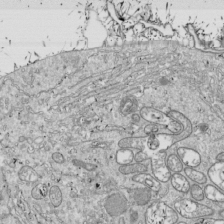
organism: Drosophila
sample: Cell division; meiosis; drosophila spermatocytes